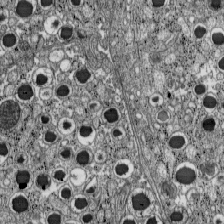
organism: C57BL Mouse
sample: Pancreatic islet